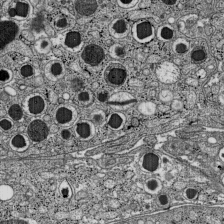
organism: C57BL Mouse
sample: Pancreatic islet